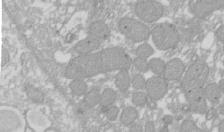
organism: Xenopus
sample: Cilia; centrioles in frog embryo cells